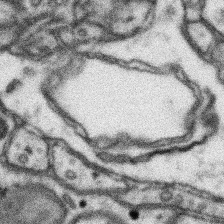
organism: Mouse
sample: Somatosensory cortex neuropil